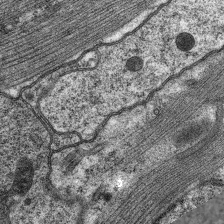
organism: C. elegans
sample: Pharynx